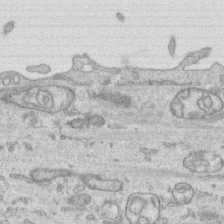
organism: Human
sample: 1205lu cells